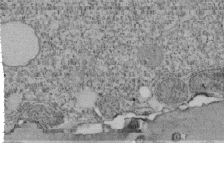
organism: Tetrahymena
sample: Cilia in tetrahymena